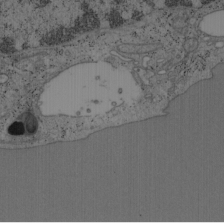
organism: Mouse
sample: OT-I killer T cells with ID8 ovarian cancer cells